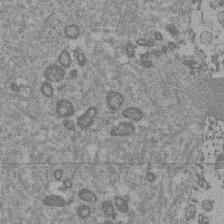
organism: Mouse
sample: Dividing mouse embryo 1 cell stage